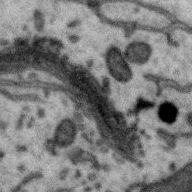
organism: Zebra finch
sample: Brain